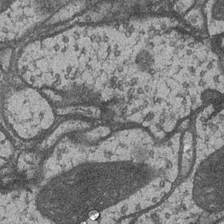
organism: Drosophila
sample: Optic medulla